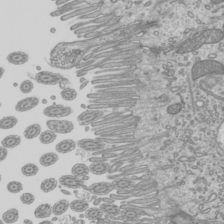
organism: Mouse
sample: Cilia; mouse epididymis